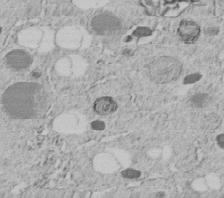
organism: C. elegans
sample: C. elegans embryo early stage